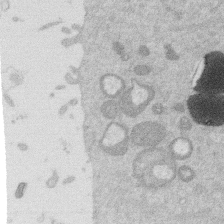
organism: Mouse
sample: Dividing mouse embryo 1 cell stage